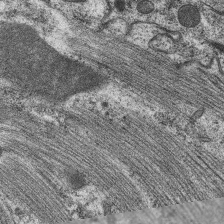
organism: C. elegans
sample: Pharynx